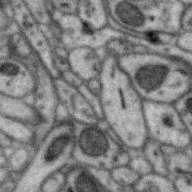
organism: Zebra finch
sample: Brain